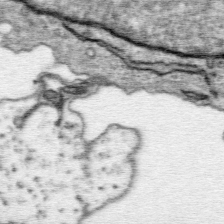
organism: Human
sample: HeLa cells